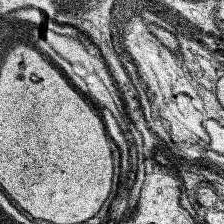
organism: Human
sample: Temporal Lobe